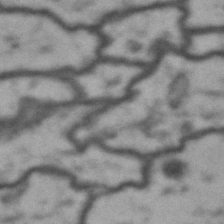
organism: Drosophila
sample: Brain